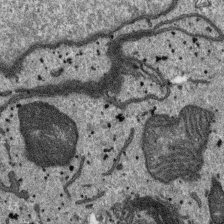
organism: Human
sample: Lung epithelial cells, uninfected (mock) control